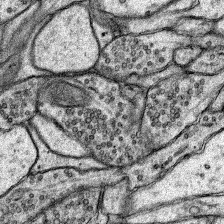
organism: Rat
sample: Hippocampus